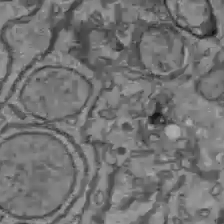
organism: C57BL Mouse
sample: Liver